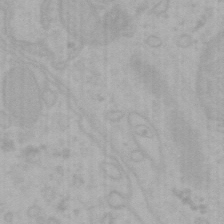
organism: Mouse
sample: Choroid plexus